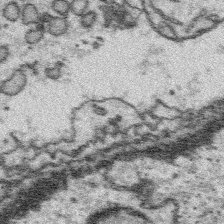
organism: Platynereis dumerilii